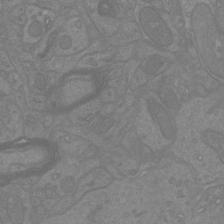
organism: Mouse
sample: Cortical neurons